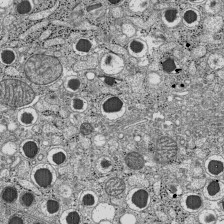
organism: C57BL Mouse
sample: Pancreatic islet